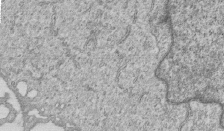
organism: Human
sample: MDA-MB-231 cells